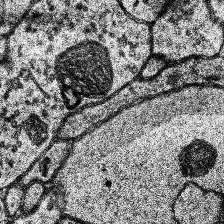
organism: Human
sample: Temporal Lobe